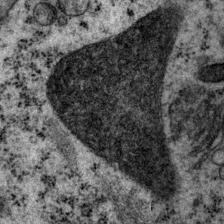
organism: P. pacificus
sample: Pharynx